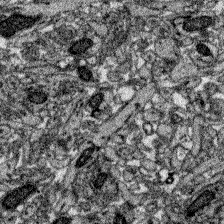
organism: Zebrafish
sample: Larval olfactory bulb